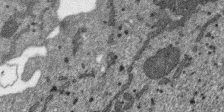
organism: Human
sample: Lung epithelial cells infected with SARS-CoV-2